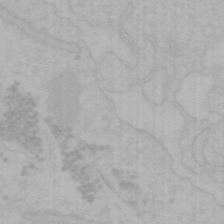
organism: Mouse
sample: Choroid plexus